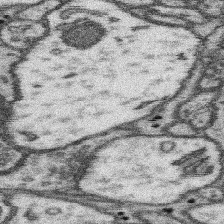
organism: Mouse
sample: Somatosensory cortex neuropil